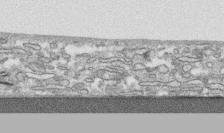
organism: Human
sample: CRL-1474